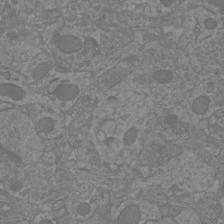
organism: Mouse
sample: Cortical neurons